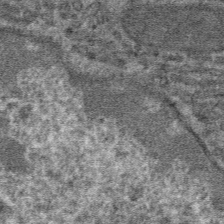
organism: Mouse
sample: Mouse hepatocytes